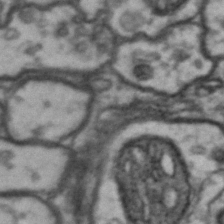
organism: Drosophila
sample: Brain